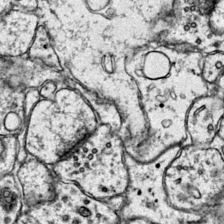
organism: Mouse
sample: Primary visual cortex